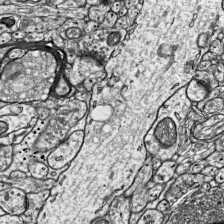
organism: Mouse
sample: Visual Cortex